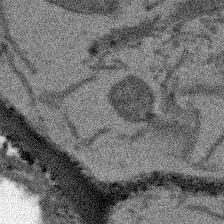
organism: Arabidopsis thaliana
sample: Root tip